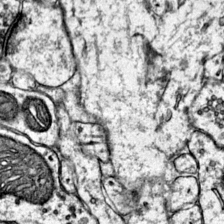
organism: Mouse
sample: Primary visual cortex